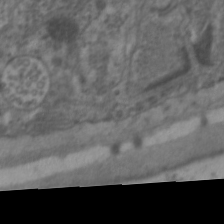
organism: C. elegans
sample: Pharynx